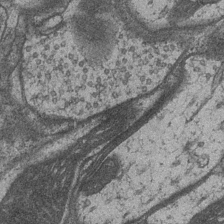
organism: Drosophila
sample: Optic medulla